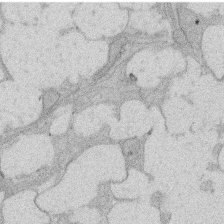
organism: Rat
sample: Salivary granule